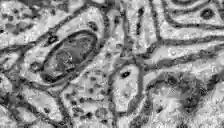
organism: Zebrafish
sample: Brain